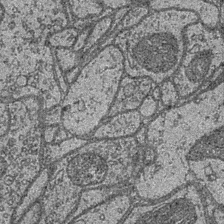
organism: Drosophila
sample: Optic medulla